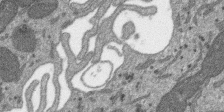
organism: Human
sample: Lung epithelial cells infected with SARS-CoV-2